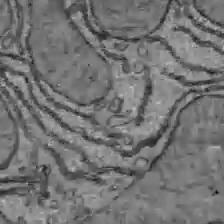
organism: C57BL Mouse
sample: Liver